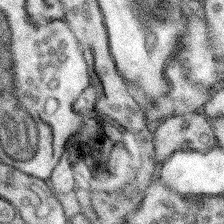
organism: Mouse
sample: Somatosensory cortex neuropil